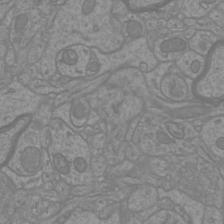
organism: Mouse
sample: Cortical neurons